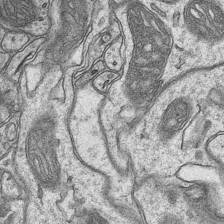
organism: Mouse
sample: CA1 Hippocampus